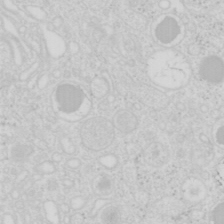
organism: Mouse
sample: Pancreas